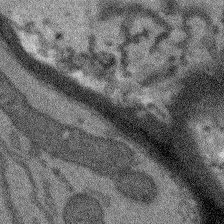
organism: Arabidopsis thaliana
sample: Root tip